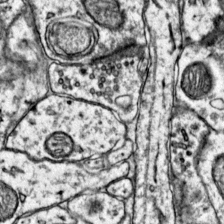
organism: Mouse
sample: Primary visual cortex